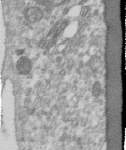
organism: Human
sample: Centriole in RPE cells